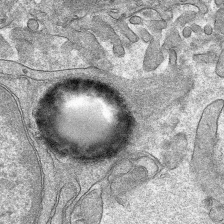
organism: Mouse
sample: Mouse hepatocytes